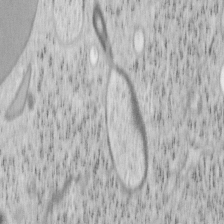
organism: Human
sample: HeLa cells